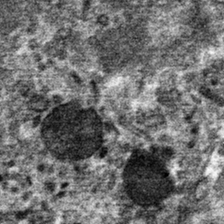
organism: Mouse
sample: Mouse hepatocytes